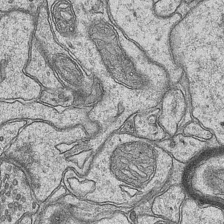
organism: Mouse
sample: CA1 Hippocampus